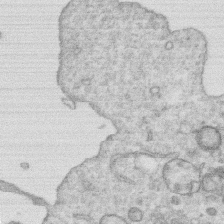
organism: Human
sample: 1205lu cells